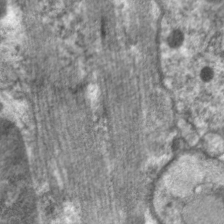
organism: C. elegans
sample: Pharynx